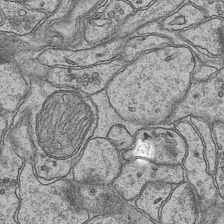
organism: Mouse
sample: CA1 Hippocampus